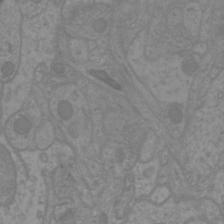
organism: Mouse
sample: Cortical neurons